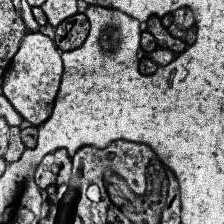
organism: Human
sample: Temporal Lobe